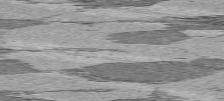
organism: C57BL Mouse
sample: Heart